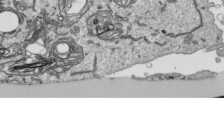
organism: Human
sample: Mitochondria in HCT116 cells